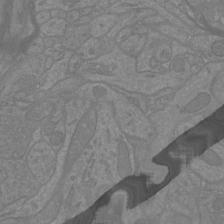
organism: Mouse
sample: Cortical neurons